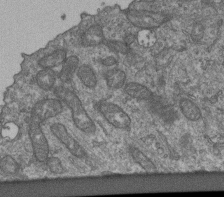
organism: Human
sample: Retinal organoid Rod and Cone cells